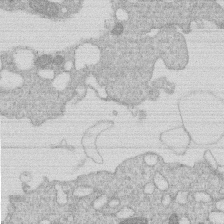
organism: Human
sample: Macrophage cells